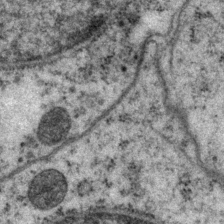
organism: P. pacificus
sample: Pharynx